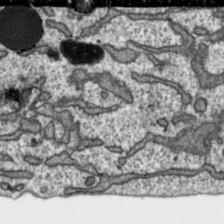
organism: Toxoplasma gondii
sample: Parasites in a vacuole inside a host cell